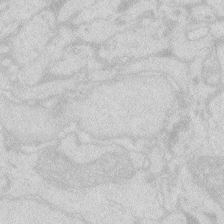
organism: Zebrafish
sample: Macrophage